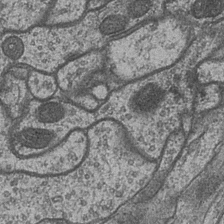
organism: Drosophila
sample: Optic medulla